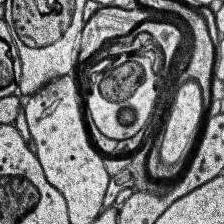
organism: Human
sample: Temporal Lobe